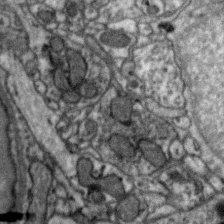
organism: Zebra finch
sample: Brain